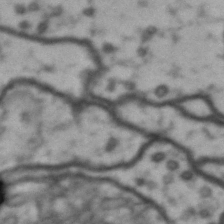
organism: Drosophila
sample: Brain